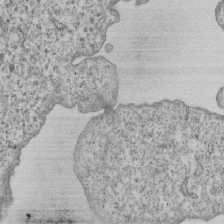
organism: Human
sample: MDA-MB-231 cells